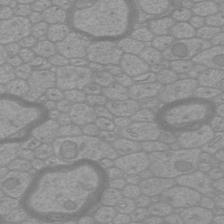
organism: Mouse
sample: Cortical neurons